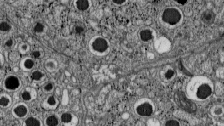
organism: C57BL Mouse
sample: Pancreatic islet